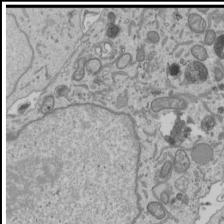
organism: Human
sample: Mitochondria in U2OS cells